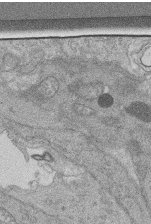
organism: Human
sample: Retinal organoid Rod and Cone cells